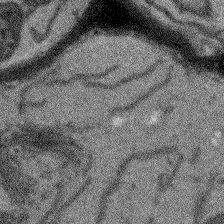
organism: Arabidopsis thaliana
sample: Root tip